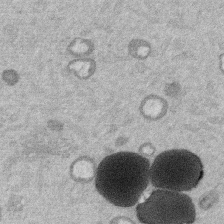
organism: Mouse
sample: Dividing mouse embryo 1 cell stage